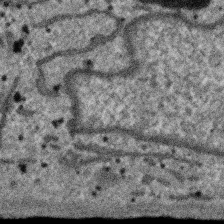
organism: Human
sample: Lung epithelial cells infected with SARS-CoV-2